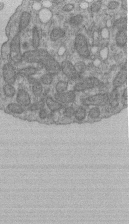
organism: Human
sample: Retinal organoid Rod and Cone cells